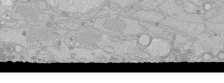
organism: Human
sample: Caco-2 cells